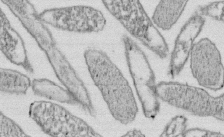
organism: E. coli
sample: Bacterial nucleoid